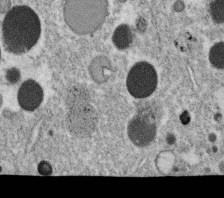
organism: C. elegans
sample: C. elegans oocyte; sperm cells